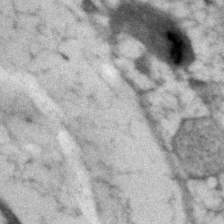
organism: Human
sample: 1205lu cells